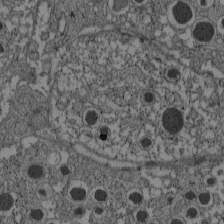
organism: C57BL Mouse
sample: Pancreatic islet